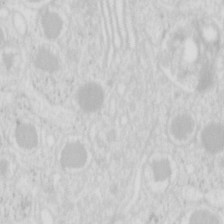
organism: Mouse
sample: Pancreas